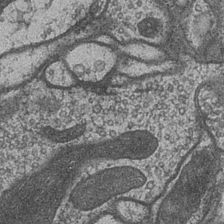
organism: Drosophila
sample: Optic medulla